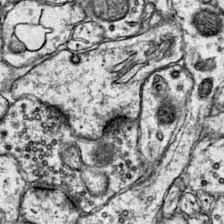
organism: Mouse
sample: Primary visual cortex